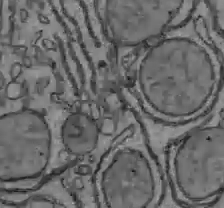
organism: C57BL Mouse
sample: Liver